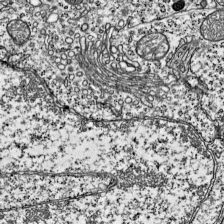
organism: Mouse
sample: Visual Cortex